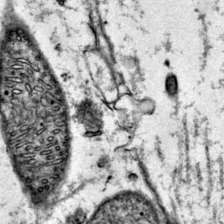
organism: Mouse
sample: Primary visual cortex